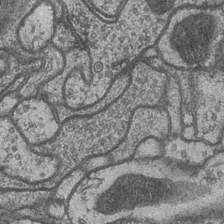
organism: Drosophila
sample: Optic medulla